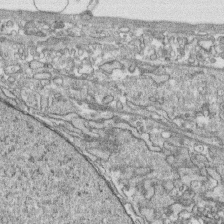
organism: Human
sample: CRL-1474